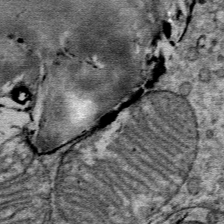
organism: Mouse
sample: Mouse Salivary gland